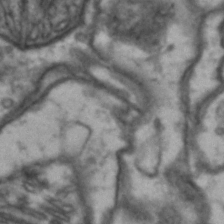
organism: Drosophila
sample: Brain